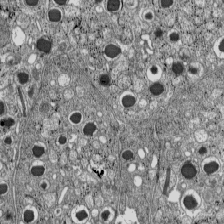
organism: C57BL Mouse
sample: Pancreatic islet